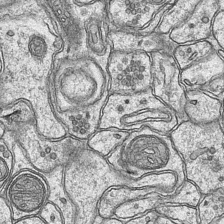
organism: Mouse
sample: CA1 Hippocampus